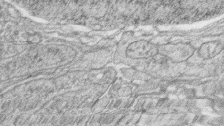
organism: Zebrafish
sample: synaptic ribbons in rod cells and cone cells